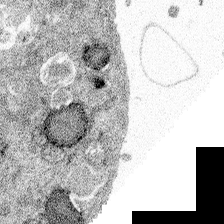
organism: Spongilla lacustris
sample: Multiple